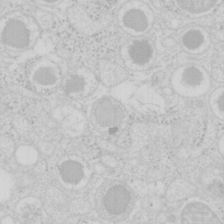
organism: Mouse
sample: Pancreas